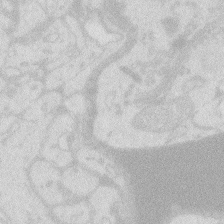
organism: Zebrafish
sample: Macrophage